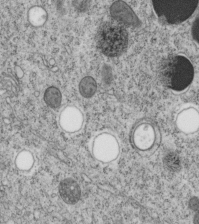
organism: C. elegans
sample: C. elegans embryo early stage